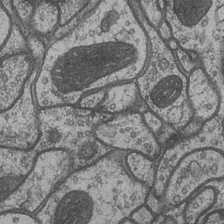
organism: Drosophila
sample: Optic medulla